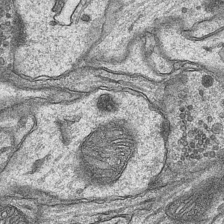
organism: Mouse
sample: CA1 Hippocampus